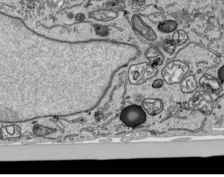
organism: Human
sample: Mitochondria in HCT116 cells